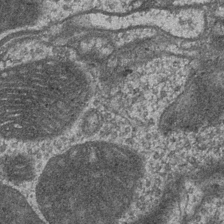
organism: Drosophila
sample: Optic medulla